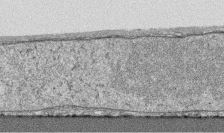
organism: Human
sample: CRL-1474